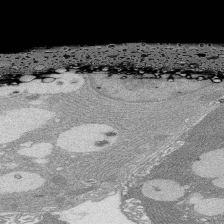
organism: Rat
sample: Salivary granule